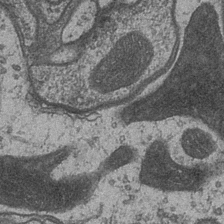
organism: Drosophila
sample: Optic medulla